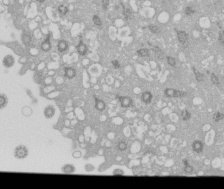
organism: Xenopus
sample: Cilia; centrioles in frog embryo cells